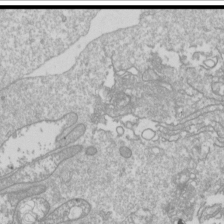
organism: Drosophila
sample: Cell division; meiosis; drosophila spermatocytes